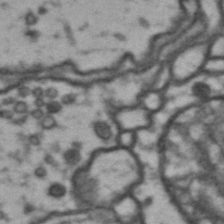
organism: Drosophila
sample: Brain